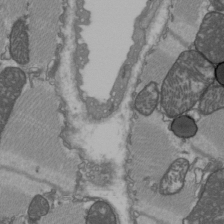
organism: C57BL Mouse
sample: Heart